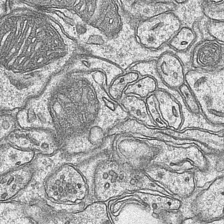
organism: Mouse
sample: CA1 Hippocampus